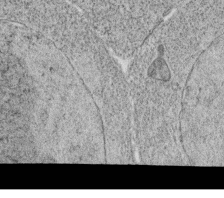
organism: C. elegans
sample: C. elegans oocyte; sperm cells